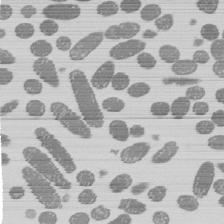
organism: E. coli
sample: Bacterial nucleoid